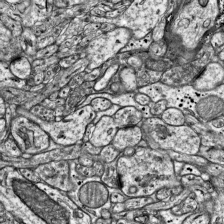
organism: Mouse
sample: Visual Cortex